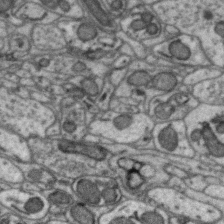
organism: Zebra finch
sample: Brain